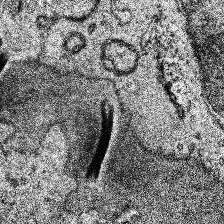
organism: Human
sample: Temporal Lobe